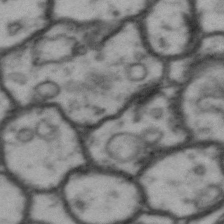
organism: Drosophila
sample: Brain